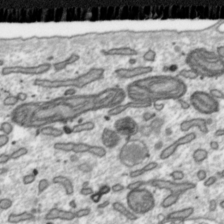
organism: Toxoplasma gondii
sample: Parasites in a vacuole inside a host cell